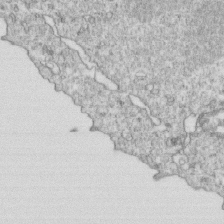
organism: Mouse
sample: Activated OT-1 CD8+ T cells